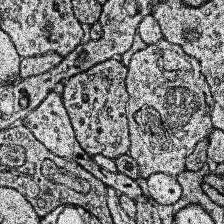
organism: Human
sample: Temporal Lobe